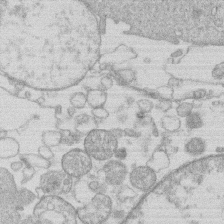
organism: Human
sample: Macrophage cells